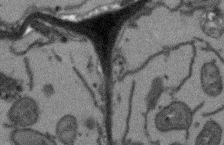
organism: Arabidopsis thaliana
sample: Root tip